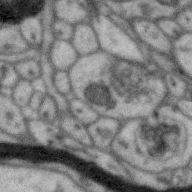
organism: Zebra finch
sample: Brain